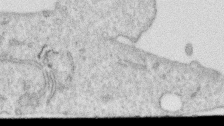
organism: Human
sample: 1205lu cells